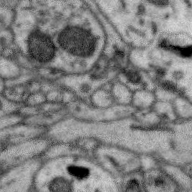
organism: Zebra finch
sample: Brain